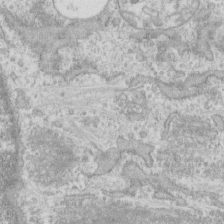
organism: Human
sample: CRL-1474